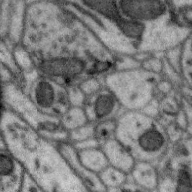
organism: Zebra finch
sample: Brain